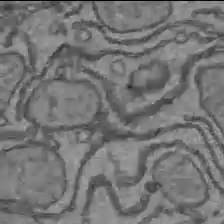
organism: C57BL Mouse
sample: Liver